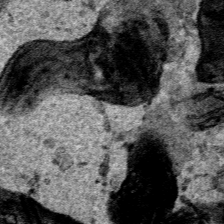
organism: Human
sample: Mitochondria in HCT116 cells